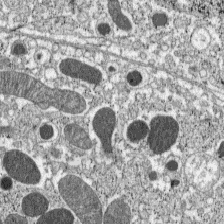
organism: C57BL Mouse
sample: Pancreatic islet